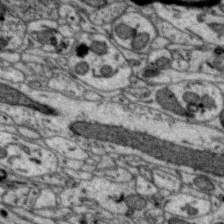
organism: Zebra finch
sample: Brain